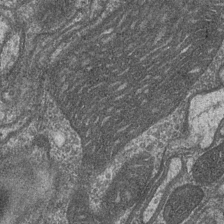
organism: Drosophila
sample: Optic medulla